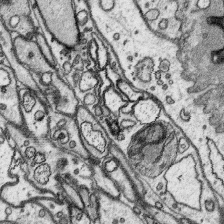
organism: Platynereis dumerilii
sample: Parapodia